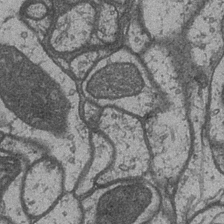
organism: Drosophila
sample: Optic medulla